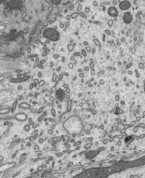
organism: Mouse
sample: Mouse epididymis efferent ductule cilia